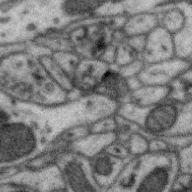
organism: Zebra finch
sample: Brain